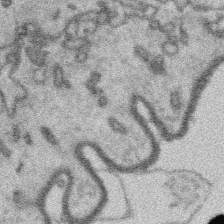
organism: Platynereis dumerilii